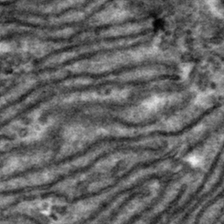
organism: Mouse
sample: Mouse hepatocytes